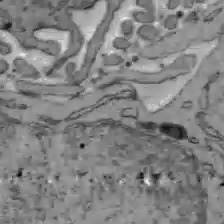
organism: C57BL Mouse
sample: Liver